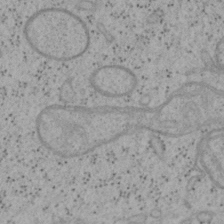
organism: Human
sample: HeLa cells